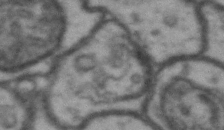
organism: Drosophila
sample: Brain